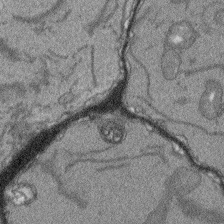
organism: Arabidopsis thaliana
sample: Root tip